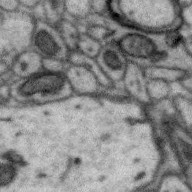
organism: Zebra finch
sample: Brain